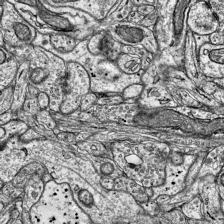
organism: Mouse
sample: Visual Cortex